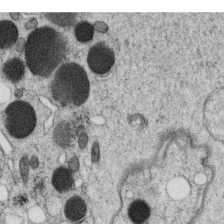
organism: C. elegans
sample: C. elegans oocyte; sperm cells